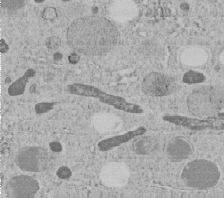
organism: C. elegans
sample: C. elegans embryo early stage